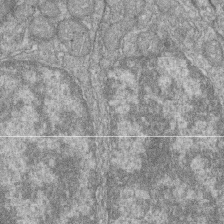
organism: Zebrafish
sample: Cilia; retinal pigment epithelium